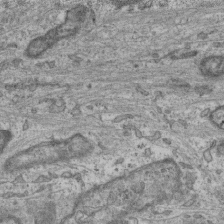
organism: Mouse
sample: Centriole in ependymal cells